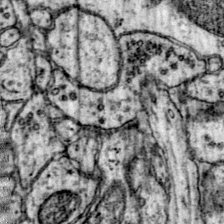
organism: Mouse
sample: Primary visual cortex